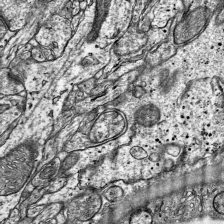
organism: Mouse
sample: Visual Cortex